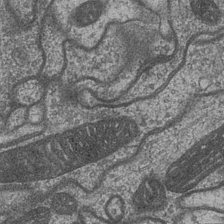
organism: Drosophila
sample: Optic medulla